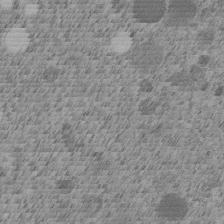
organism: C. elegans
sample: C. elegans embryo early stage